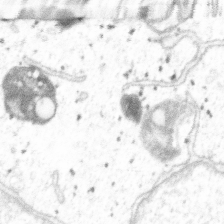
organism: Human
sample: HeLa cells